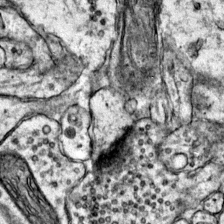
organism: Mouse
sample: Primary visual cortex